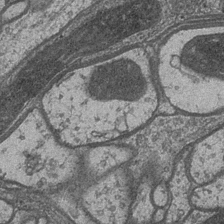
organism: Drosophila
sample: Optic medulla